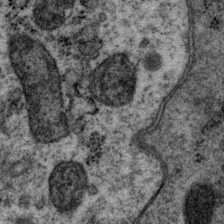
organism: P. pacificus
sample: Pharynx